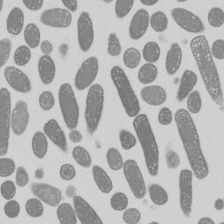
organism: E. coli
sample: Bacterial nucleoid